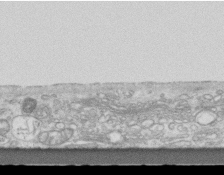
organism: Mouse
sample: Centriole in ependymal cells